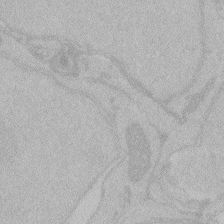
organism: Zebrafish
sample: Macrophage infected with Toxoplasma gondii